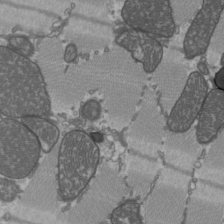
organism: C57BL Mouse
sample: Heart